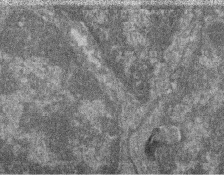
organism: Zebrafish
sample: Cilia; retinal pigment epithelium